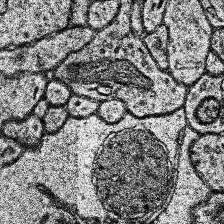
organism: Human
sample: Temporal Lobe